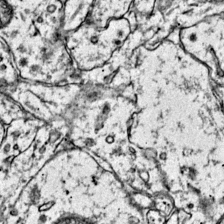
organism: Mouse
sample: Primary visual cortex